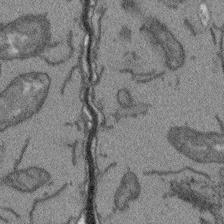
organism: Arabidopsis thaliana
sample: Root tip